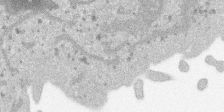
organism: Human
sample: Lung epithelial cells infected with SARS-CoV-2